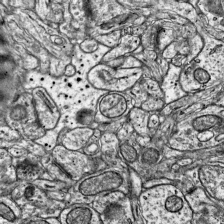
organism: Mouse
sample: Visual Cortex